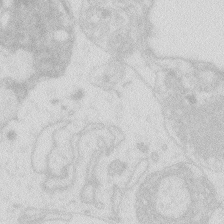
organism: Zebrafish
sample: Macrophage